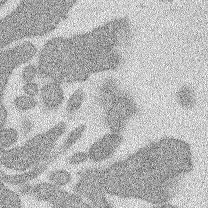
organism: Human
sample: HeLa cells